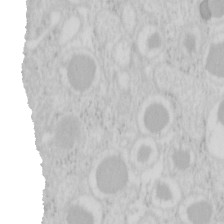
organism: Mouse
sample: Pancreas